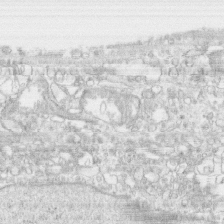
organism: Human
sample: CRL-1474